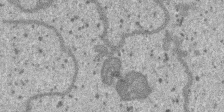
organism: Human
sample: Lung epithelial cells infected with SARS-CoV-2